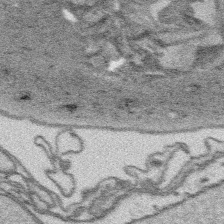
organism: Platynereis dumerilii